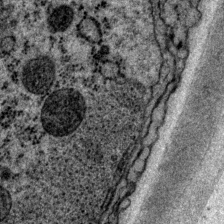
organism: P. pacificus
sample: Pharynx